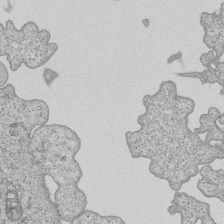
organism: Human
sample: MDA-MB-231 cells